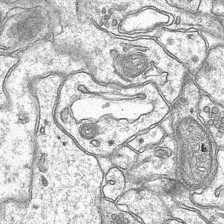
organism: Mouse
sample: CA1 Hippocampus